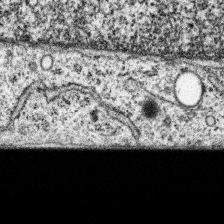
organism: Human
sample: HeLa cells